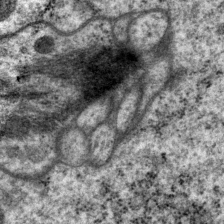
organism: P. pacificus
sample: Pharynx